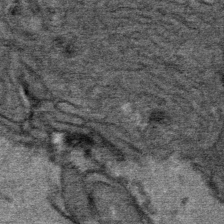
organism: Mouse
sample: Mouse Salivary gland